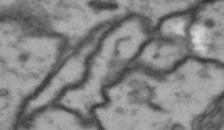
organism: Drosophila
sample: Brain